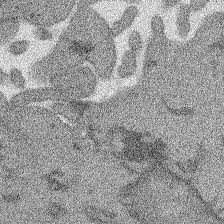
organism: Human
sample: HeLa cells